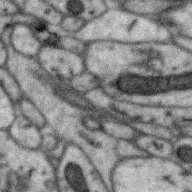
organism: Zebra finch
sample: Brain